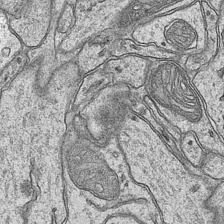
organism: Mouse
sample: CA1 Hippocampus